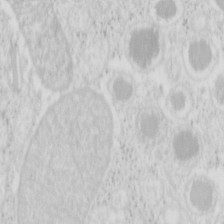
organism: Mouse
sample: Pancreas